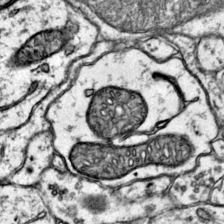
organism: Mouse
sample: Primary visual cortex